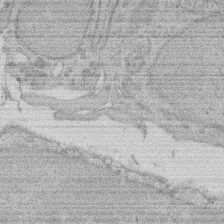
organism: Rat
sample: Salivary granule